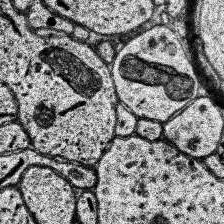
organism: Human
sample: Temporal Lobe